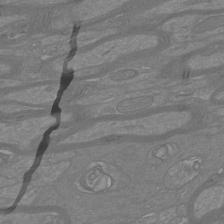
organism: Mouse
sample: Cortical neurons